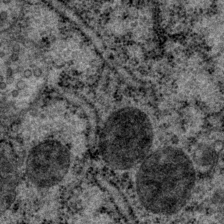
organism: P. pacificus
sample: Pharynx